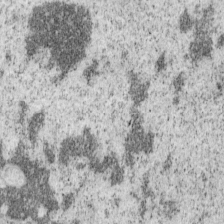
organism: Mouse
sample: OT-I killer T cells with ID8 ovarian cancer cells